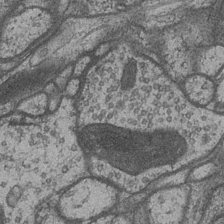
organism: Drosophila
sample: Optic medulla